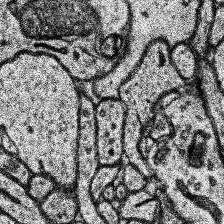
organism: Human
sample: Temporal Lobe